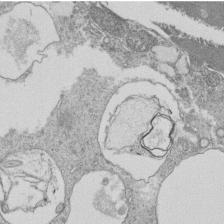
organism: Tetrahymena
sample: Cilia in tetrahymena